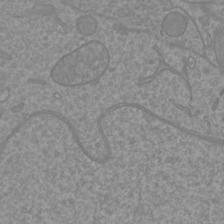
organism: Mouse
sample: Cortical neurons